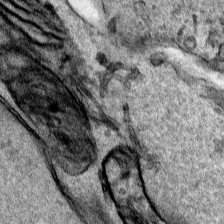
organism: Human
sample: Mitochondria in HCT116 cells